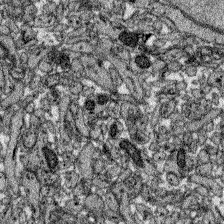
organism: Zebrafish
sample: Larval olfactory bulb